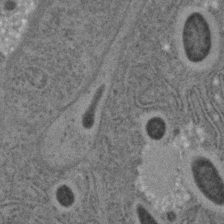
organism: C. elegans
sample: C. elegans embryo